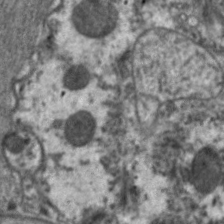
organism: C. elegans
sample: Pharynx